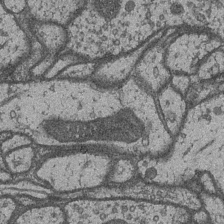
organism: Drosophila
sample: Optic medulla